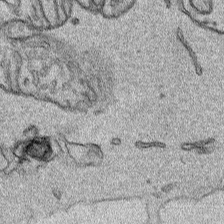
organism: Human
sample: Mitochondria in HCT116 cells